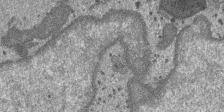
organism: Human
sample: Lung epithelial cells infected with SARS-CoV-2